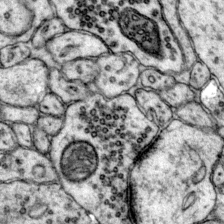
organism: Mouse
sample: Primary visual cortex